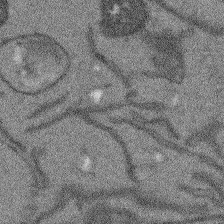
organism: Arabidopsis thaliana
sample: Root tip